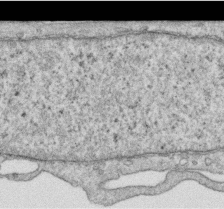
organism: Human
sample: Centriole in RPE cells